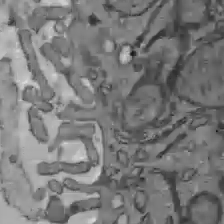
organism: C57BL Mouse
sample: Liver